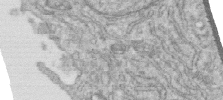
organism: Human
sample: Centriole in RPE cells